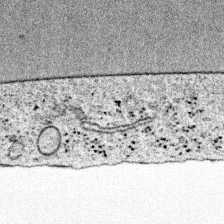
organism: Human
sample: HeLa cells